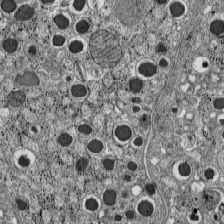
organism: C57BL Mouse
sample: Pancreatic islet